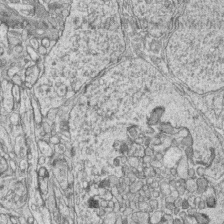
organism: Zebrafish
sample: synaptic ribbons in rod cells and cone cells